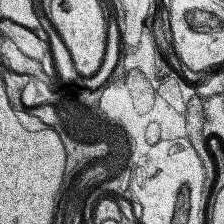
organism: Human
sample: Temporal Lobe